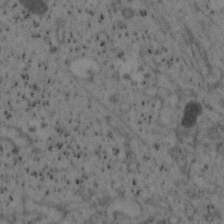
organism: Human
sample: HeLa cells